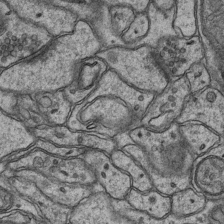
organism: Mouse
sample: CA1 Hippocampus